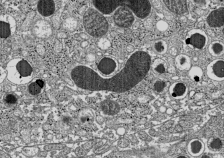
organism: C57BL Mouse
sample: Pancreatic islet